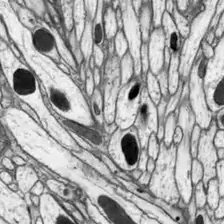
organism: Drosophila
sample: Optic lobe